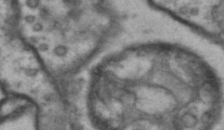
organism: Drosophila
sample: Brain